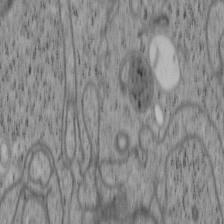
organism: Human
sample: HeLa cells